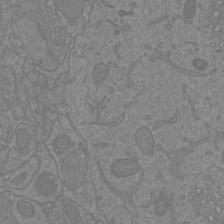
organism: Mouse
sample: Cortical neurons